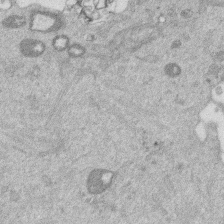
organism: Mouse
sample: Dividing mouse embryo 1 cell stage